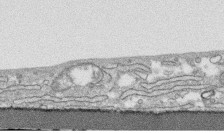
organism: Human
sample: CRL-1474